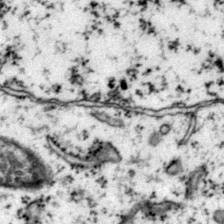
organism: Mouse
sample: Primary visual cortex